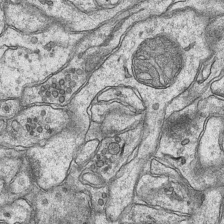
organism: Mouse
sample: CA1 Hippocampus